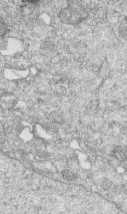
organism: Human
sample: HeLa cell HIV synapse